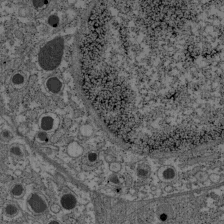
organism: C57BL Mouse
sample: Pancreatic islet